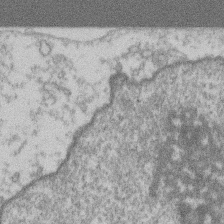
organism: Mouse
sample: T cell stromal cell synapse